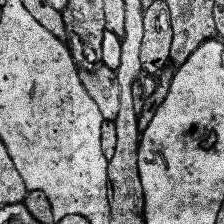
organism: Human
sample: Temporal Lobe